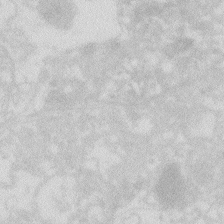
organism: Zebrafish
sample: Macrophage